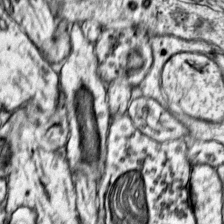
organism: Mouse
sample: Primary visual cortex